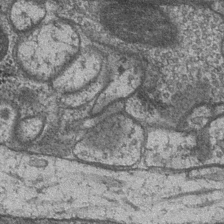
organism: Drosophila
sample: Optic medulla